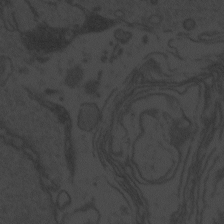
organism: Zebrafish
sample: Macrophage infected with Toxoplasma gondii